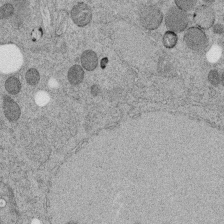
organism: C. elegans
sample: C. elegans embryo early stage